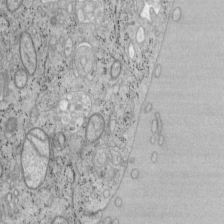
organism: Mouse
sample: OT-I killer T cells with ID8 ovarian cancer cells